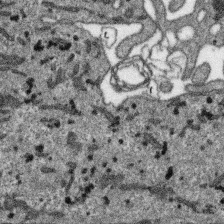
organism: Human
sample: Lung epithelial cells infected with SARS-CoV-2